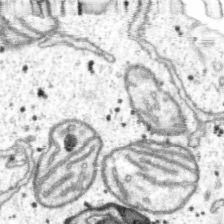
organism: Human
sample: HeLa cells